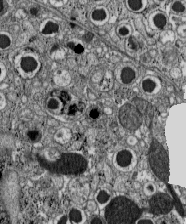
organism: C57BL Mouse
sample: Pancreatic islet